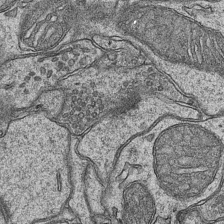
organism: Mouse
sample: CA1 Hippocampus